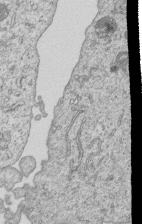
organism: Human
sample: MDA-MB-231 cells